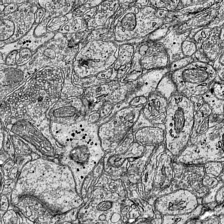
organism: Mouse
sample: Visual Cortex